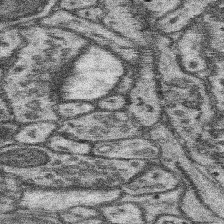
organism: Mouse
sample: Somatosensory cortex neuropil